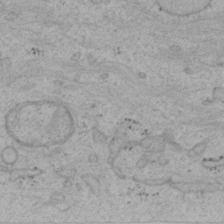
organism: Human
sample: HeLa cells